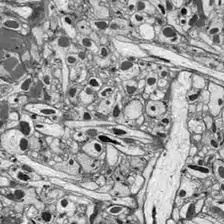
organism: Drosophila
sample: Optic lobe